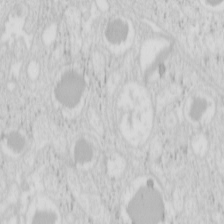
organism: Mouse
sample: Pancreas